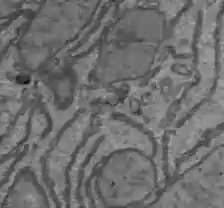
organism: C57BL Mouse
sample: Liver